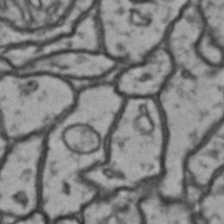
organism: Drosophila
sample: Brain